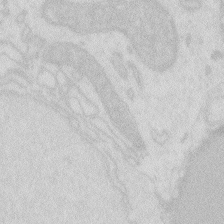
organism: Zebrafish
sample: Macrophage